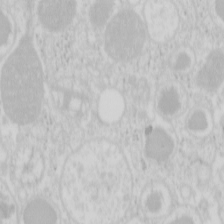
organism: Mouse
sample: Pancreas